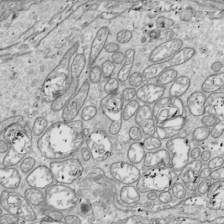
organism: Drosophila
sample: Cell division; meiosis; drosophila spermatocytes